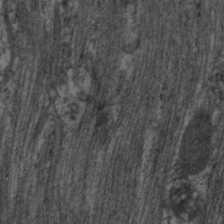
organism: C. elegans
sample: Pharynx